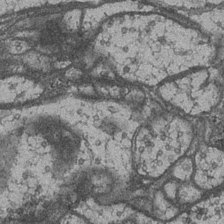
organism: Drosophila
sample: Optic medulla